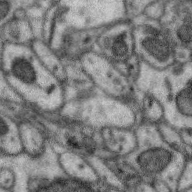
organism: Zebra finch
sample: Brain